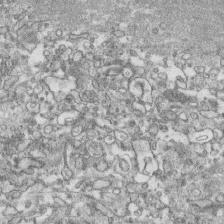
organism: Human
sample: CRL-1474